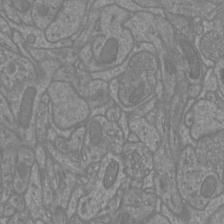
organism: Mouse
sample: Cortical neurons